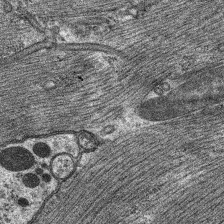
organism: C. elegans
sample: Pharynx